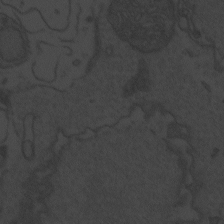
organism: Zebrafish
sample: Macrophage infected with Toxoplasma gondii